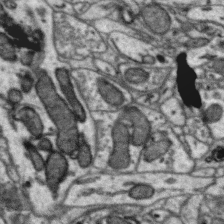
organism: Zebra finch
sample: Brain